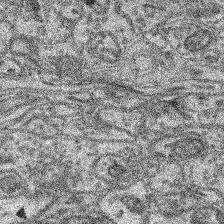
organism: Mouse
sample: Retina